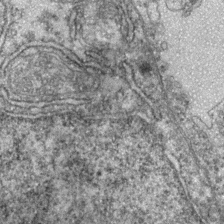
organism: Zebrafish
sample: Zebrafish embryo